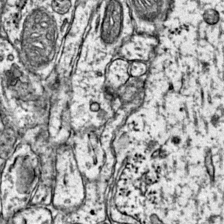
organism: Mouse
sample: Primary visual cortex